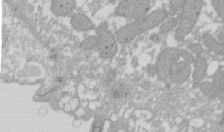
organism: Xenopus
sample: Cilia; centrioles in frog embryo cells